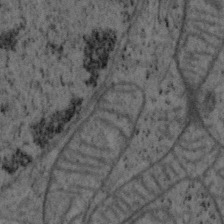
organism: Human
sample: HeLa cells